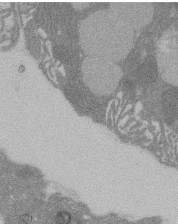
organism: Rat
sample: Salivary granule